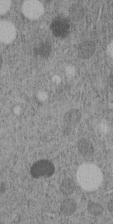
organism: C. elegans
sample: C. elegans embryo early stage